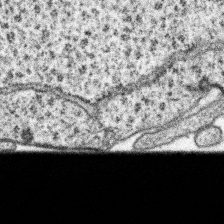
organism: Human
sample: HeLa cells